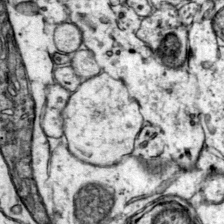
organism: Mouse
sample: Primary visual cortex